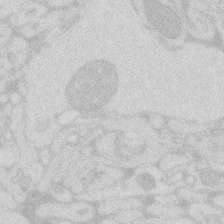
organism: Zebrafish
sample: Macrophage